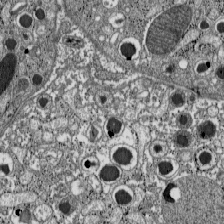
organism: C57BL Mouse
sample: Pancreatic islet